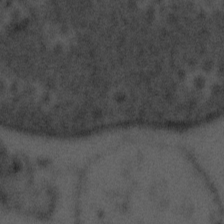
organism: Tuwongella immobilis